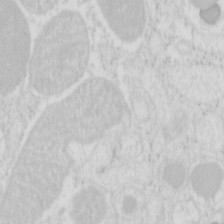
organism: Mouse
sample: Pancreas